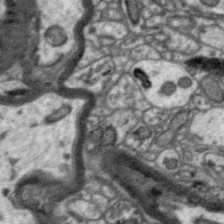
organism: Zebra finch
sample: Brain